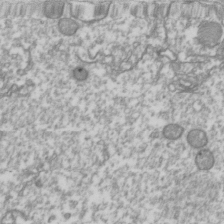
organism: Drosophila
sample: Cell division; meiosis; drosophila spermatocytes